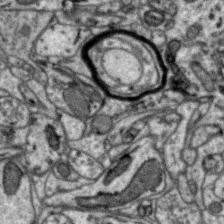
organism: Zebra finch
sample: Brain